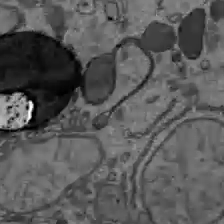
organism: C57BL Mouse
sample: Liver